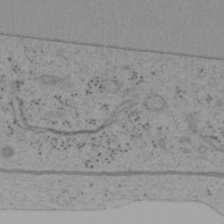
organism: Human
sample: HeLa cells